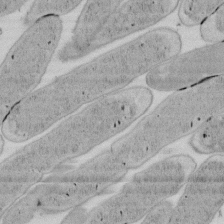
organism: E. coli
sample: Bacterial nucleoid